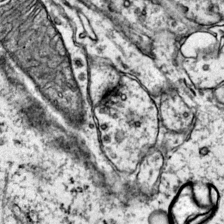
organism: Mouse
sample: Primary visual cortex